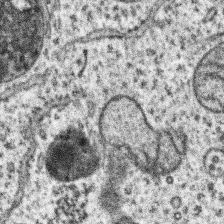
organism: Human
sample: HeLa cells